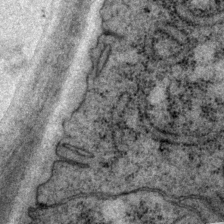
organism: P. pacificus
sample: Pharynx